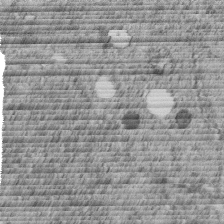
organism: C. elegans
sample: C. elegans embryo early stage